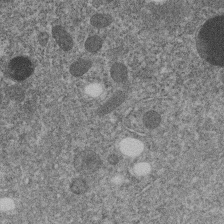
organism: C. elegans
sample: C. elegans embryo early stage